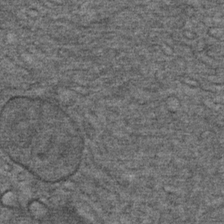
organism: Mouse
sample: Mouse Salivary gland